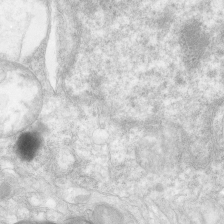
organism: Human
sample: Neocortex